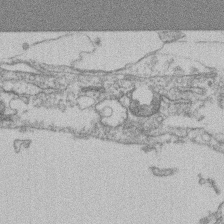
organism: Mouse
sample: T cell stromal cell synapse